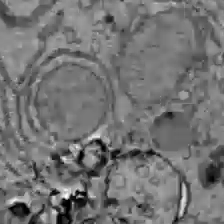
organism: C57BL Mouse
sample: Liver